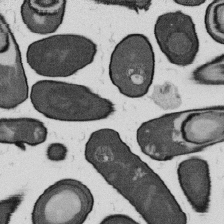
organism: B. subtilis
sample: Bacterial spore